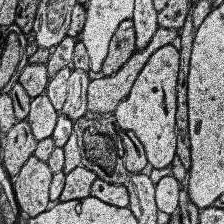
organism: Human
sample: Temporal Lobe